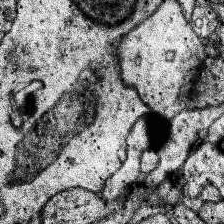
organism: Human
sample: Temporal Lobe